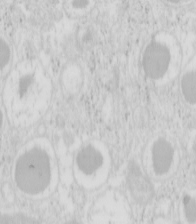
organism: Mouse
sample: Pancreas